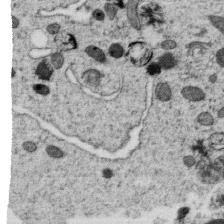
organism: C. elegans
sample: C. elegans oocyte; sperm cells